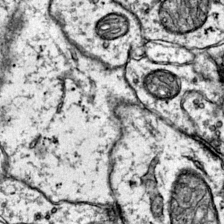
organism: Mouse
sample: Primary visual cortex